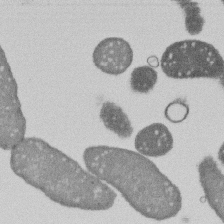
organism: E. coli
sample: Bacterial nucleoid